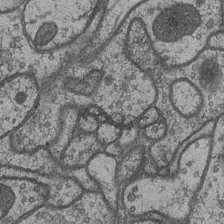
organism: Drosophila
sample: Optic medulla